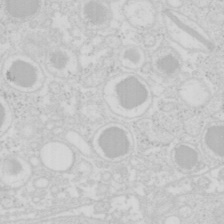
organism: Mouse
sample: Pancreas